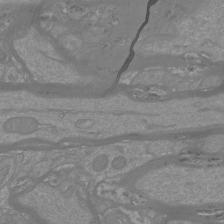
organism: Mouse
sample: Cortical neurons